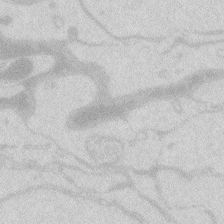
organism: Zebrafish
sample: Macrophage